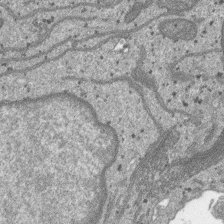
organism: Human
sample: Lung epithelial cells infected with SARS-CoV-2